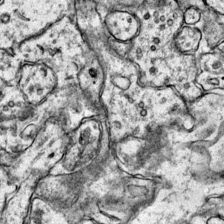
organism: Mouse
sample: Primary visual cortex